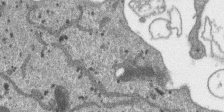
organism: Human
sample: Lung epithelial cells infected with SARS-CoV-2